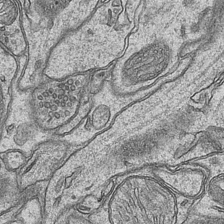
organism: Mouse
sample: CA1 Hippocampus